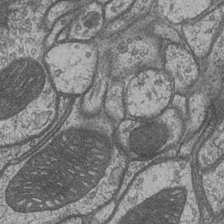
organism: Drosophila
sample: Optic medulla